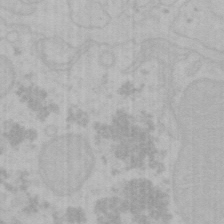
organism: Mouse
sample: Choroid plexus